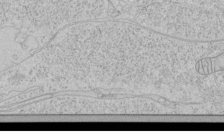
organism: Human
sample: Mitochondria in HCT116 cells